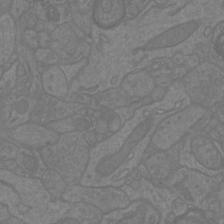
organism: Mouse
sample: Cortical neurons